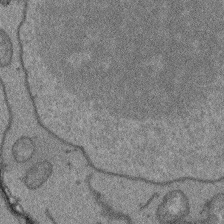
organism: Arabidopsis thaliana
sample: Root tip